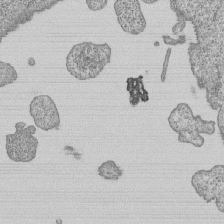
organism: Human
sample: MDA-MB-231 cells